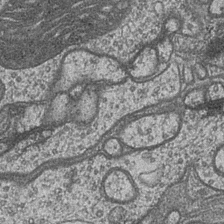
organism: Drosophila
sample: Optic medulla